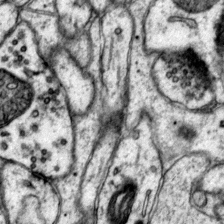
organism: Mouse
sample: Primary visual cortex